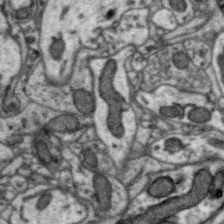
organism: Zebra finch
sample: Brain